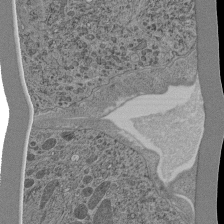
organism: C. elegans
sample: C. elegans pharynx